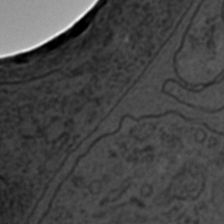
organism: C. elegans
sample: C. elegans embryo